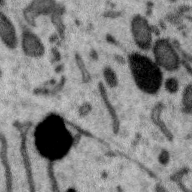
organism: Zebra finch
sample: Brain